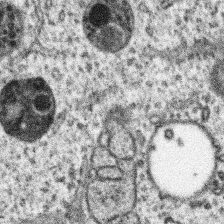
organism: Human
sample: HeLa cells